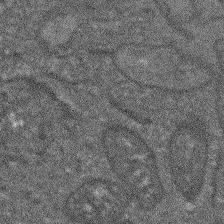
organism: Arabidopsis thaliana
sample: Root tip